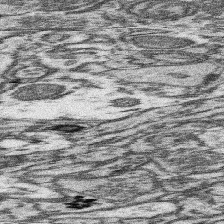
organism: Mouse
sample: Somatosensory cortex neuropil